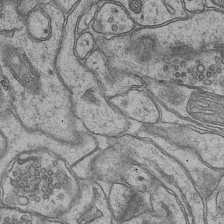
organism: Mouse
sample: CA1 Hippocampus